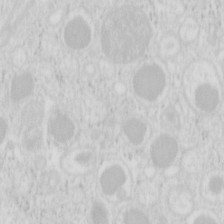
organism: Mouse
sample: Pancreas